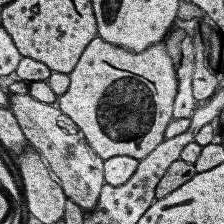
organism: Human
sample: Temporal Lobe